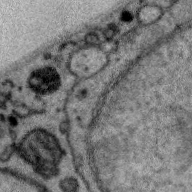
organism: Zebra finch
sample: Brain